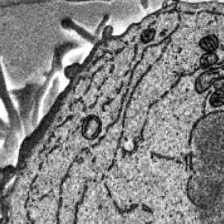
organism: Human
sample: HeLa cells